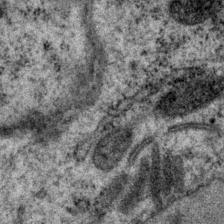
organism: P. pacificus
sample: Pharynx